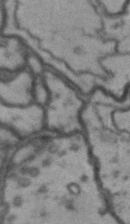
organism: Drosophila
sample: Brain